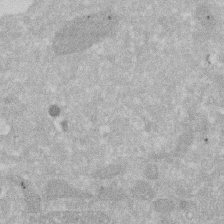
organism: Human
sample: HIV infected U937 cells